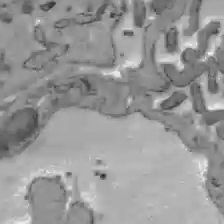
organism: C57BL Mouse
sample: Liver